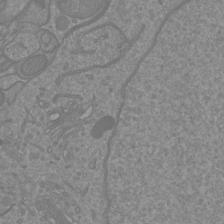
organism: Mouse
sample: Cortical neurons